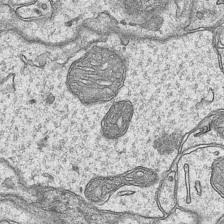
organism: Mouse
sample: CA1 Hippocampus